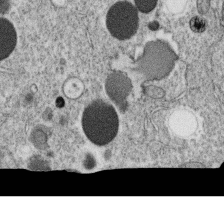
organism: C. elegans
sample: C. elegans oocyte; sperm cells